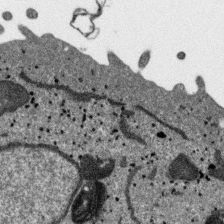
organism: Human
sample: Lung epithelial cells, uninfected (mock) control